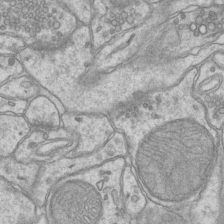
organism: Mouse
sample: CA1 Hippocampus